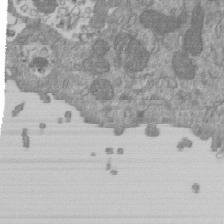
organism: Mouse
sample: ED-1 cell nuclei; centrioles